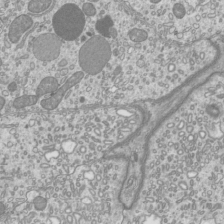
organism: Mouse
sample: Cilia; mouse epididymis